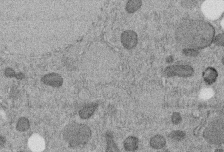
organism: C. elegans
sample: C. elegans embryo early stage